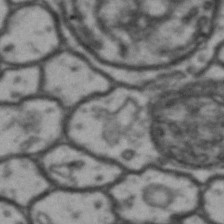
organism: Drosophila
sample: Brain